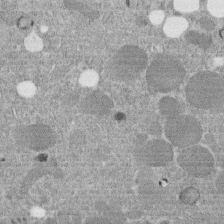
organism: C. elegans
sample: C. elegans embryo early stage